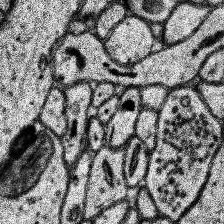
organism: Human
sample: Temporal Lobe